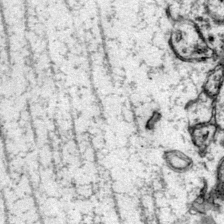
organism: Mouse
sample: Primary visual cortex